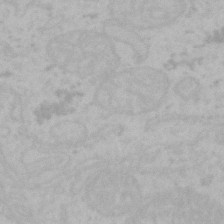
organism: Mouse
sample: Choroid plexus